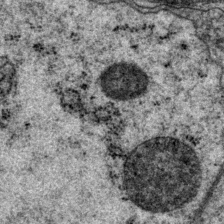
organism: P. pacificus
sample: Pharynx